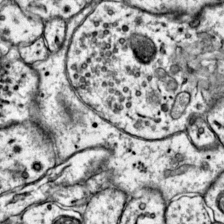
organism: Mouse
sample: Primary visual cortex